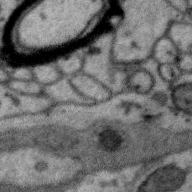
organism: Zebra finch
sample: Brain